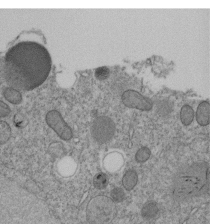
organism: C. elegans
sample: C. elegans embryo early stage